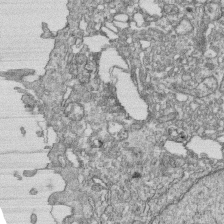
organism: Human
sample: HeLa cell HIV synapse